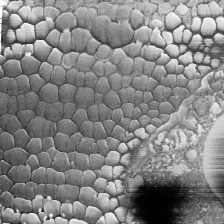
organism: Tetrahymena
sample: Cilia in tetrahymena